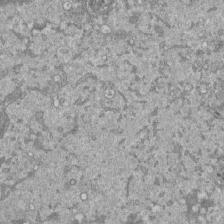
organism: Mouse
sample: ED-1 cell nuclei; centrioles